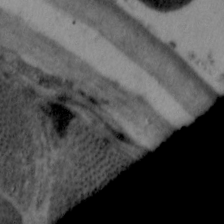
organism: C. elegans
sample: Pharynx